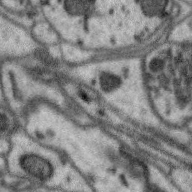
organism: Zebra finch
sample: Brain